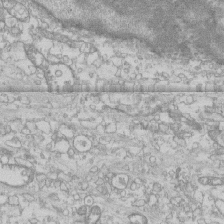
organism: Human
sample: CRL-1474